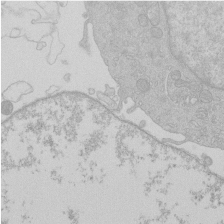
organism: Human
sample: Macrophage cells